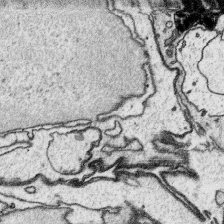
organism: Platynereis dumerilii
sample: Parapodia